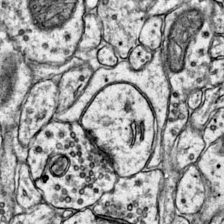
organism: Mouse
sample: Primary visual cortex